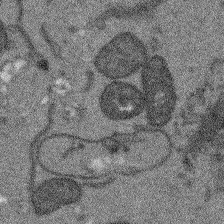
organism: Arabidopsis thaliana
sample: Root tip